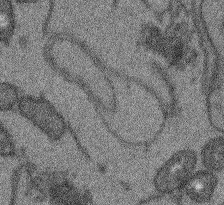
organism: Arabidopsis thaliana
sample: Root tip